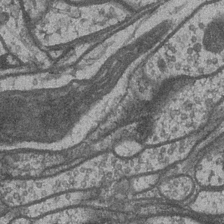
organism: Drosophila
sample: Optic medulla